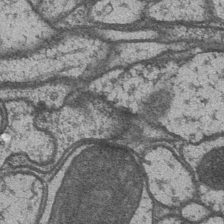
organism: Drosophila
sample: Optic medulla